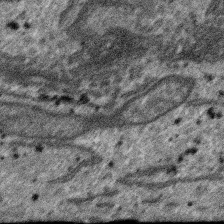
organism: Human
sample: Lung epithelial cells infected with SARS-CoV-2